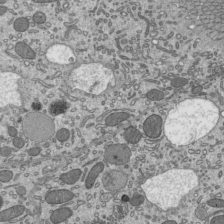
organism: Mouse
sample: Mouse epididymis efferent ductule cilia